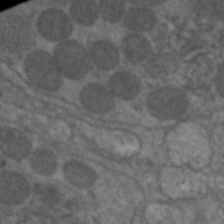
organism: C. elegans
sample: Pharynx